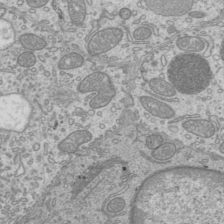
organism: Mouse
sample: Cilia; mouse epididymis